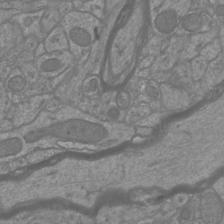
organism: Mouse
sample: Cortical neurons